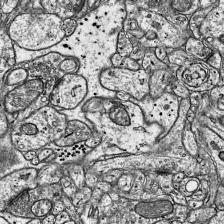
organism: Mouse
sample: Visual Cortex